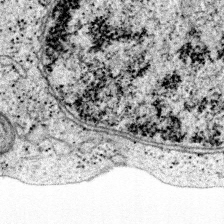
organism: Human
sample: HeLa cells